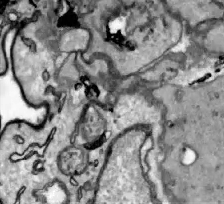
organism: Zebrafish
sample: Actinotrichia fibers